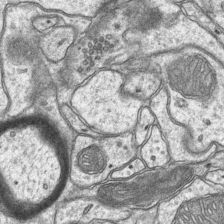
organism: Mouse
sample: CA1 Hippocampus